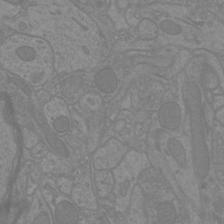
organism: Mouse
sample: Cortical neurons